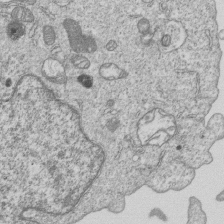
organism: Human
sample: MDA-MB-231 cells